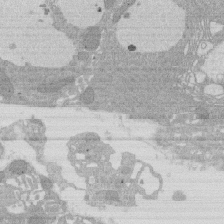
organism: Rat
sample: Salivary granule